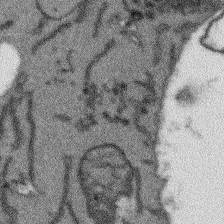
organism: Arabidopsis thaliana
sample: Root tip